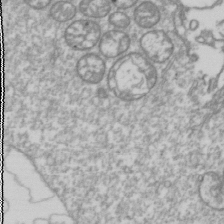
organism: Drosophila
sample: Cell division; meiosis; drosophila spermatocytes